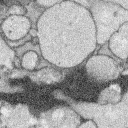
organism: Rabbit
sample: Retina